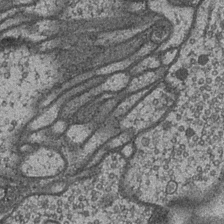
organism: Drosophila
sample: Optic medulla